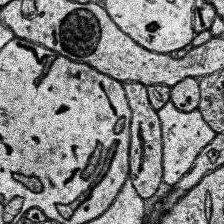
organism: Human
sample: Temporal Lobe